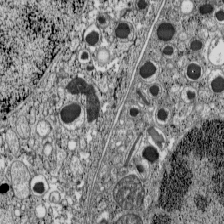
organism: C57BL Mouse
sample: Pancreatic islet